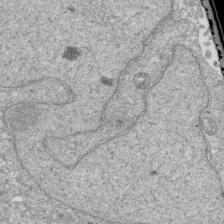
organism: Human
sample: HeLa cell HIV synapse